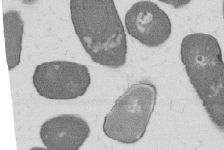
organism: B. subtilis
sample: Bacterial spore